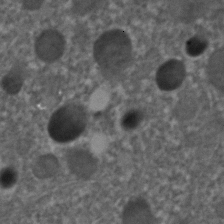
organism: C. elegans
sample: C. elegans embryo